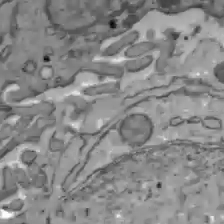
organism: C57BL Mouse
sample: Liver